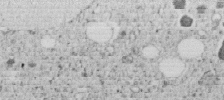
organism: C. elegans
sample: C. elegans embryo early stage